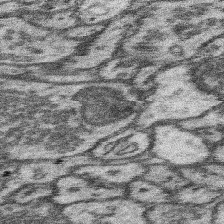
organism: Mouse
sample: Somatosensory cortex neuropil